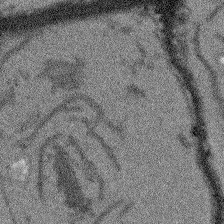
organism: Arabidopsis thaliana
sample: Root tip